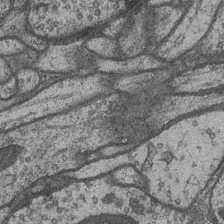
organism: Drosophila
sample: Optic medulla